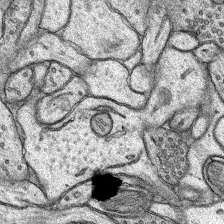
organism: Rat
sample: Hippocampus